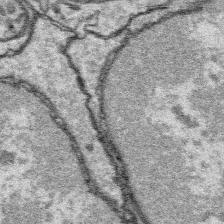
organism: Platynereis dumerilii